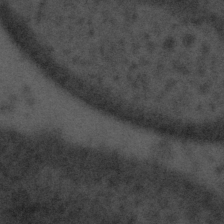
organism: Tuwongella immobilis